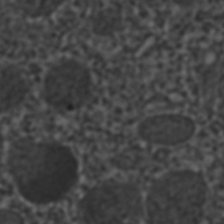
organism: C. elegans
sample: C. elegans embryo